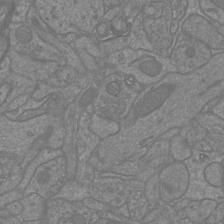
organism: Mouse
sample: Cortical neurons